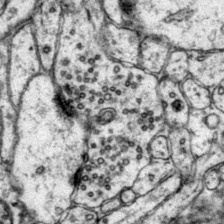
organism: Mouse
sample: Primary visual cortex